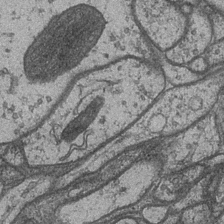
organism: Drosophila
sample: Optic medulla